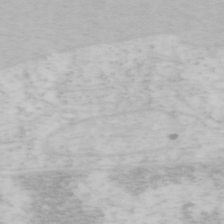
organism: Mouse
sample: OT-I killer T cells with ID8 ovarian cancer cells